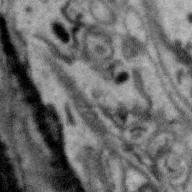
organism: Zebra finch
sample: Brain